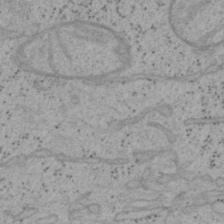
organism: Human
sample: HeLa cells